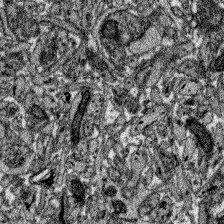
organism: Zebrafish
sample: Larval olfactory bulb